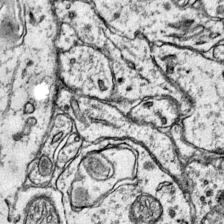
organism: Mouse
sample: Primary visual cortex